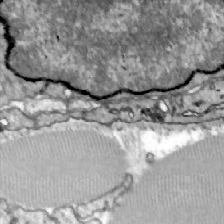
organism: Zebrafish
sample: Actinotrichia fibers